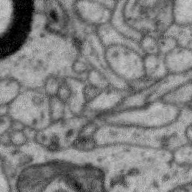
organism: Zebra finch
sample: Brain